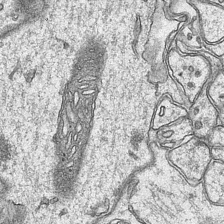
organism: Mouse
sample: CA1 Hippocampus